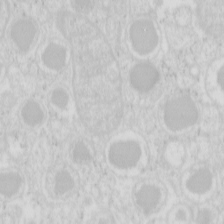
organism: Mouse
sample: Pancreas